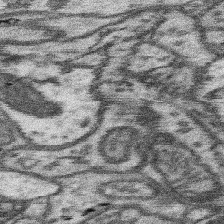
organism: Mouse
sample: Somatosensory cortex neuropil